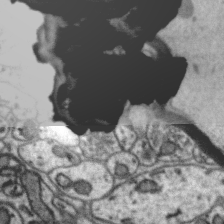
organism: Zebra finch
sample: Brain